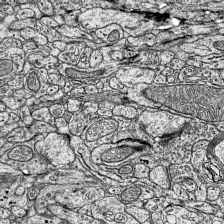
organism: Mouse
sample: Visual Cortex